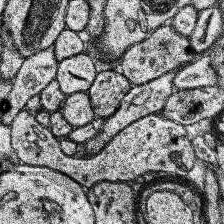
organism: Human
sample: Temporal Lobe